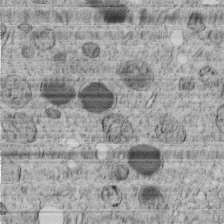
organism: C. elegans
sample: C. elegans embryo early stage